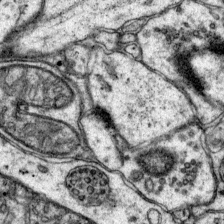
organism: Mouse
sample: Primary visual cortex